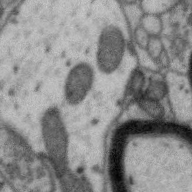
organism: Zebra finch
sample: Brain